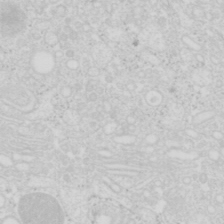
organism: Mouse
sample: Pancreas